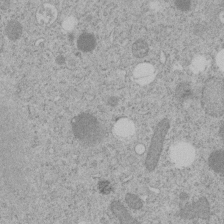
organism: C. elegans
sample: C. elegans embryo early stage